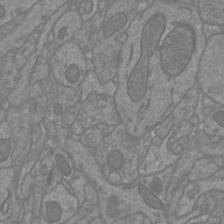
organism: Mouse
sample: Cortical neurons